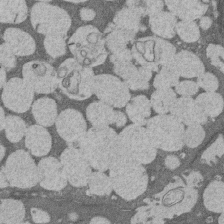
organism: Rat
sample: Salivary granule